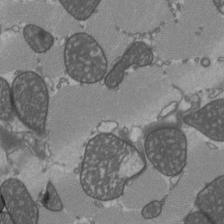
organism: C57BL Mouse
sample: Heart